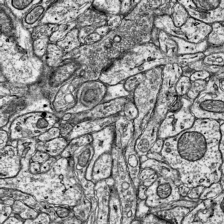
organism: Mouse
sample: Visual Cortex